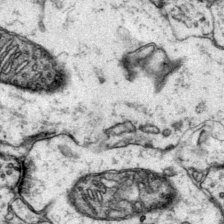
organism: Mouse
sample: Primary visual cortex